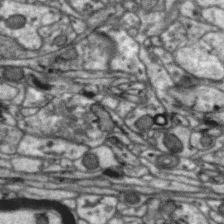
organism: Zebra finch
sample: Brain